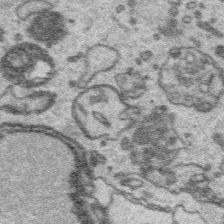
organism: Platynereis dumerilii